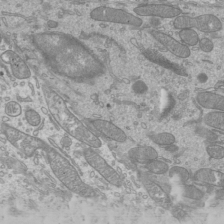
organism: Mouse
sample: Cilia; mouse epididymis